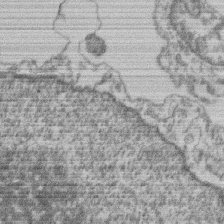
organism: Mouse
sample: T cell stromal cell synapse